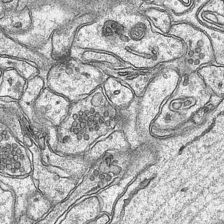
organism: Mouse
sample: CA1 Hippocampus